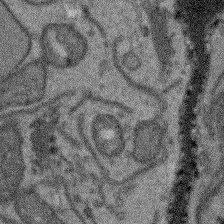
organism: Arabidopsis thaliana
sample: Root tip